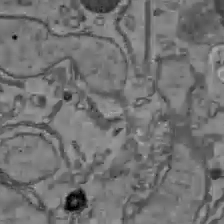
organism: C57BL Mouse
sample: Liver